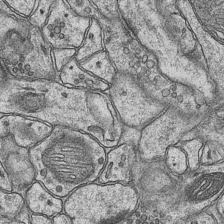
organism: Mouse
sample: CA1 Hippocampus